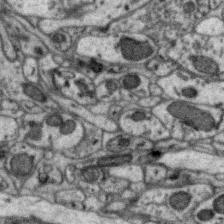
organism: Zebra finch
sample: Brain